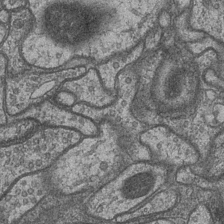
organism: Drosophila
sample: Optic medulla